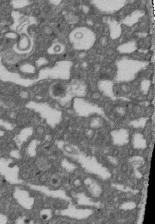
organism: Drosophila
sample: Nephrocyte